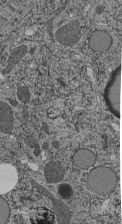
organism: C. elegans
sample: C. elegans pharynx